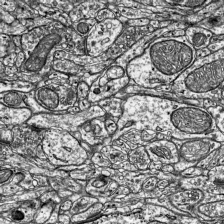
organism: Mouse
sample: Visual Cortex